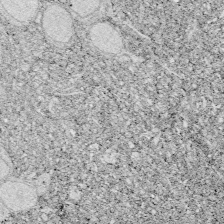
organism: Zebrafish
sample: Whole-Brain